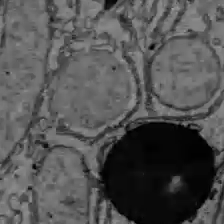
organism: C57BL Mouse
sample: Liver